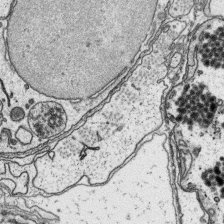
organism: Platynereis dumerilii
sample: Parapodia